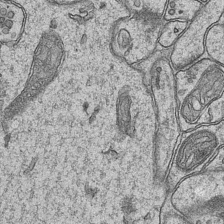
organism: Mouse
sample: CA1 Hippocampus